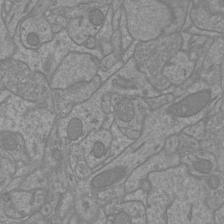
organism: Mouse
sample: Cortical neurons